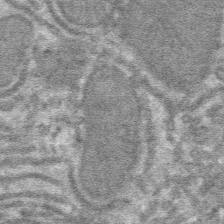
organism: Mouse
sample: Mouse hepatocytes